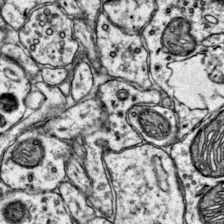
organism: Mouse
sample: Primary visual cortex